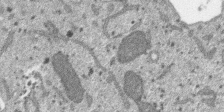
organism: Human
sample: Lung epithelial cells infected with SARS-CoV-2